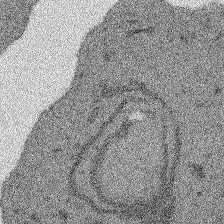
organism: Human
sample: HeLa cells